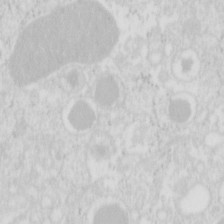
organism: Mouse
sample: Pancreas